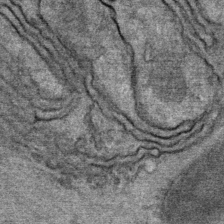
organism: Mouse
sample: Mouse Salivary gland